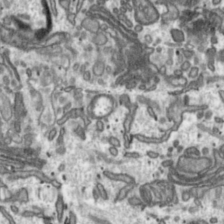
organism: Toxoplasma gondii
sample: Parasites in a vacuole inside a host cell